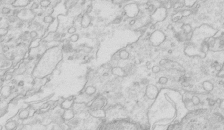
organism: Mouse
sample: Multiciliated cells